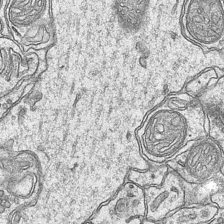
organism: Mouse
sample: CA1 Hippocampus